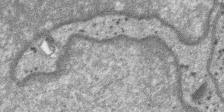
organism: Human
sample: Lung epithelial cells infected with SARS-CoV-2